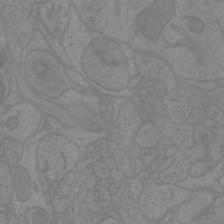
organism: Mouse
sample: Cortical neurons